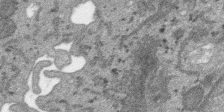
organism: Human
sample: Lung epithelial cells infected with SARS-CoV-2